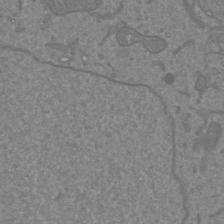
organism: Mouse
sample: Cortical neurons